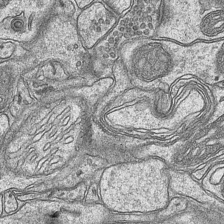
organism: Mouse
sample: CA1 Hippocampus